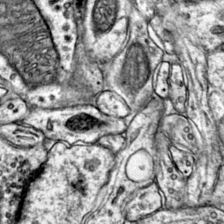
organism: Mouse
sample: Primary visual cortex